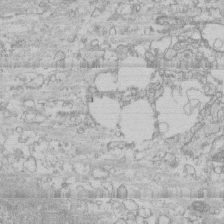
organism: Human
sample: CRL-1474